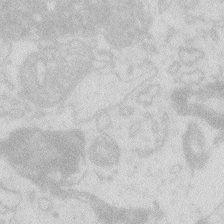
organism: Zebrafish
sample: Macrophage